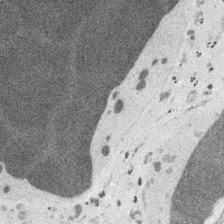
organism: Embia sp.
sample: Silk gland